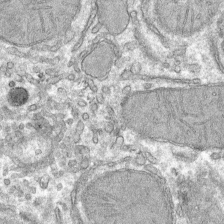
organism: Mouse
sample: Mouse hepatocytes